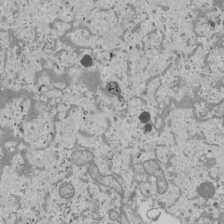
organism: Human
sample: Mitochondria in U2OS cells